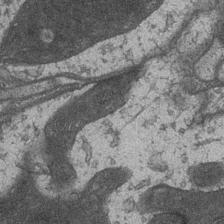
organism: Drosophila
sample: Optic medulla